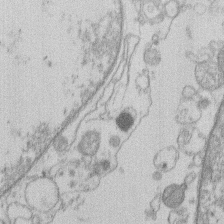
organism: Human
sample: Macrophage cells